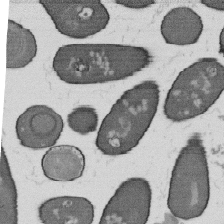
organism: B. subtilis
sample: Bacterial spore